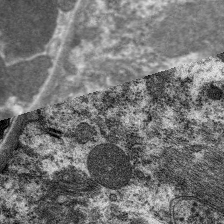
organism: C. elegans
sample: Pharynx